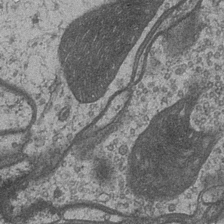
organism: Drosophila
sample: Optic medulla